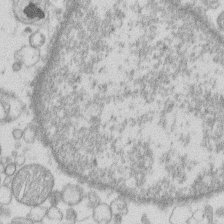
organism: Human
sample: Macrophage cells